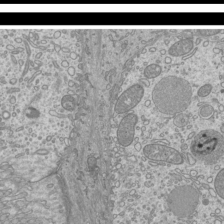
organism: Mouse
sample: Cilia; mouse epididymis